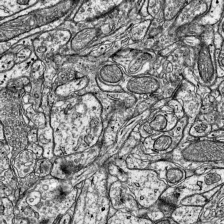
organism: Mouse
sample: Visual Cortex